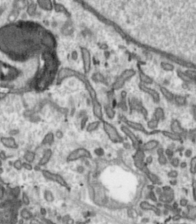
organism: Toxoplasma gondii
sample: Parasites in a vacuole inside a host cell